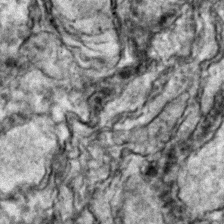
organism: Zebrafish